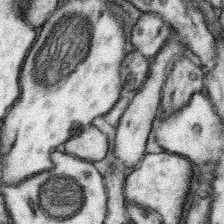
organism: Mouse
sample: Somatosensory cortex neuropil